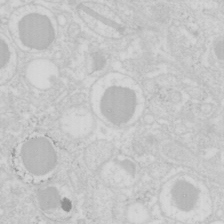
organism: Mouse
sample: Pancreas